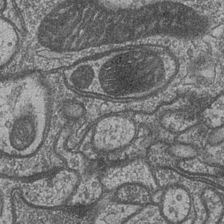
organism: Drosophila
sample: Optic medulla